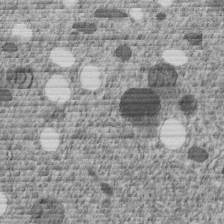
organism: C. elegans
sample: C. elegans embryo early stage